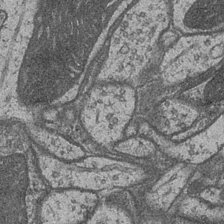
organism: Drosophila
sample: Optic medulla